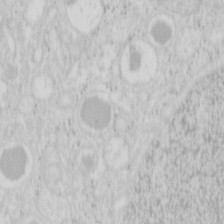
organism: Mouse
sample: Pancreas